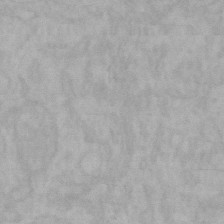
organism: Mouse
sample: Choroid plexus